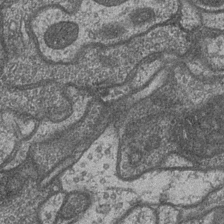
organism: Drosophila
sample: Optic medulla